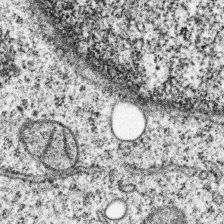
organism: Human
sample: HeLa cells